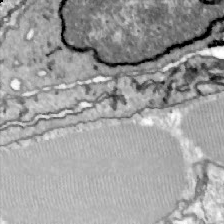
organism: Zebrafish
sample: Actinotrichia fibers